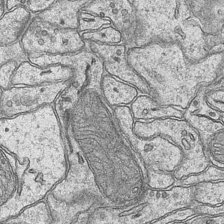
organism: Mouse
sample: CA1 Hippocampus